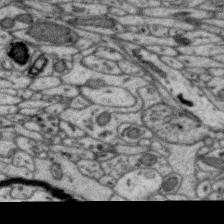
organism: Zebra finch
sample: Brain